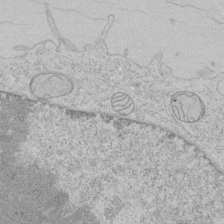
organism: Human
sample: Mitochondria in HCT116 cells